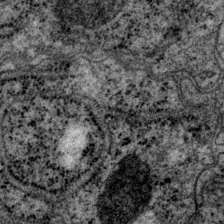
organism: P. pacificus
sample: Pharynx